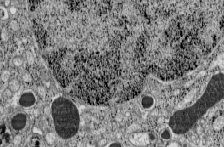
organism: C57BL Mouse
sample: Pancreatic islet